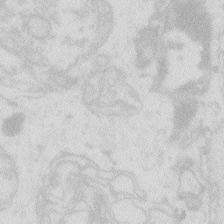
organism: Zebrafish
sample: Macrophage